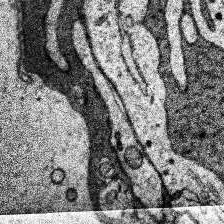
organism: Human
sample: Temporal Lobe